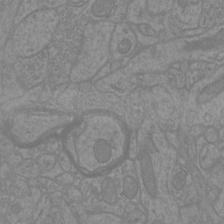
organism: Mouse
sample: Cortical neurons